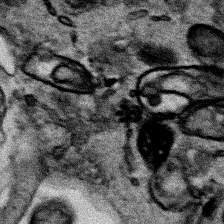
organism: Human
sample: Mitochondria in HCT116 cells